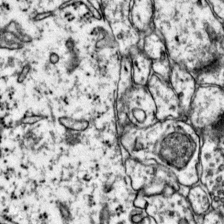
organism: Mouse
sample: Primary visual cortex